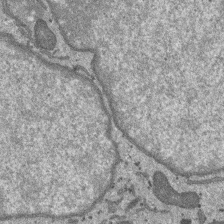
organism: Human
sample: Lung epithelial cells infected with SARS-CoV-2